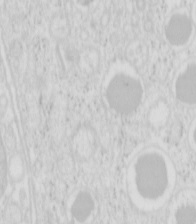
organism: Mouse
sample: Pancreas